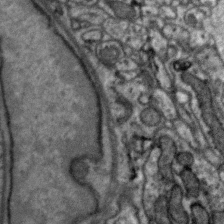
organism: Zebra finch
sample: Brain